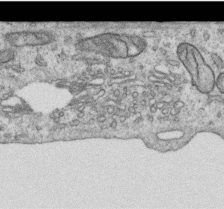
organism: Human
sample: Centriole in RPE cells